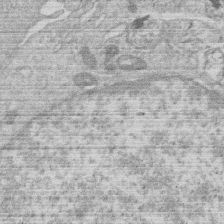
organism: Human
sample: Macrophage cells